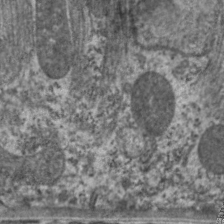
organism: C. elegans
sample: Pharynx